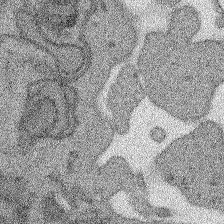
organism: Human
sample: HeLa cells